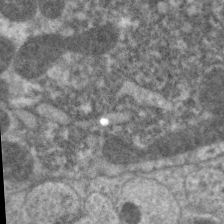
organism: C. elegans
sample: Pharynx